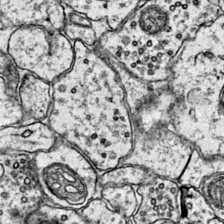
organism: Mouse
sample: Primary visual cortex